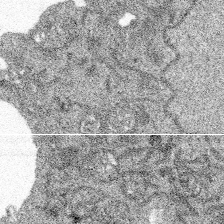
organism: Spongilla lacustris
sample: Multiple